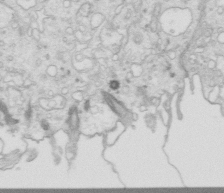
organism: Mouse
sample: Multiciliated cells